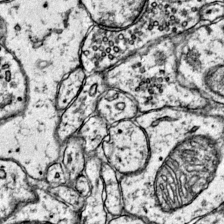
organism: Mouse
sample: Primary visual cortex